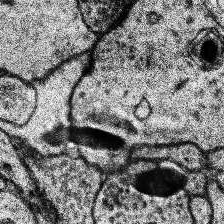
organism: Human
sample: Temporal Lobe